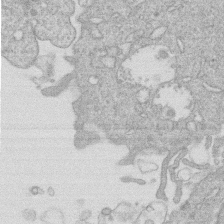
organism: Human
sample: Macrophage cells